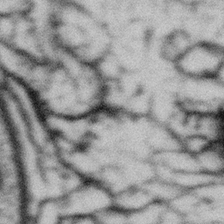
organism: Gemmata obscuriglobus